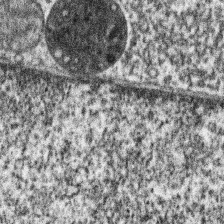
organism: Human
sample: HeLa cells